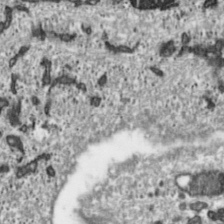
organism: Toxoplasma gondii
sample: Parasites in a vacuole inside a host cell